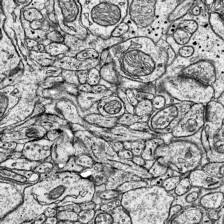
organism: Mouse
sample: Visual Cortex